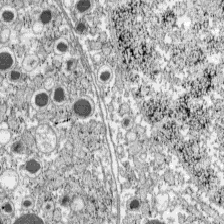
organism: C57BL Mouse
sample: Pancreatic islet